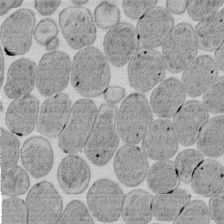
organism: E. coli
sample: Bacterial nucleoid